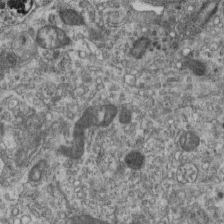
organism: Mouse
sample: Centriole in ependymal cells